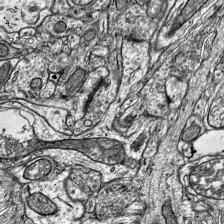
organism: Mouse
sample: Visual Cortex